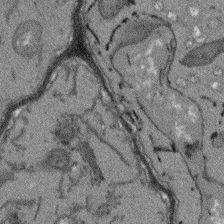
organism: Arabidopsis thaliana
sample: Root tip